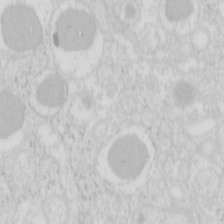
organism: Mouse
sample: Pancreas